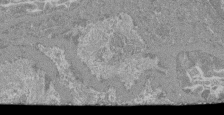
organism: Mouse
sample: Glomerulus